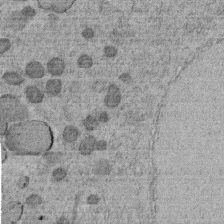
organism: C. elegans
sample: C. elegans embryo early stage